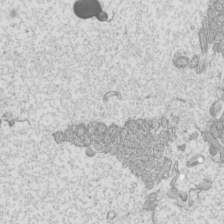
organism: Mouse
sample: Cilia; mouse epididymis